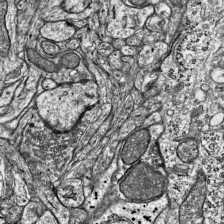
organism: Mouse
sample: Visual Cortex